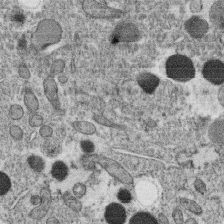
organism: C. elegans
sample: C. elegans oocyte; sperm cells